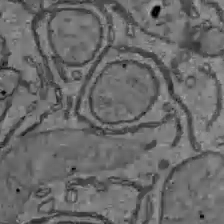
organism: C57BL Mouse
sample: Liver